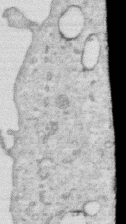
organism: Human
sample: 1205lu cells